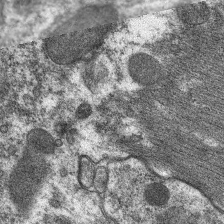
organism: C. elegans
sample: Pharynx